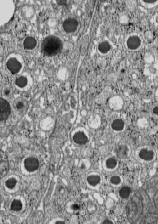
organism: C57BL Mouse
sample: Pancreatic islet